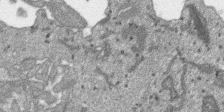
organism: Human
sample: Lung epithelial cells infected with SARS-CoV-2